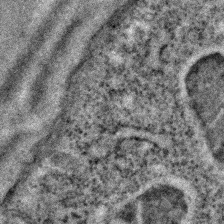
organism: C. elegans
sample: C. elegans embryo